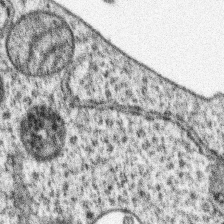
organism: Human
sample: HeLa cells